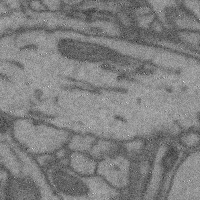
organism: Mouse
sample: Cerebral cortex